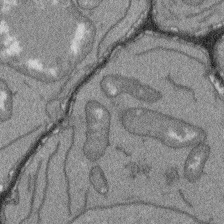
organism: Arabidopsis thaliana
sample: Root tip